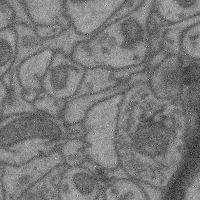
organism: Mouse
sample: Cerebral cortex